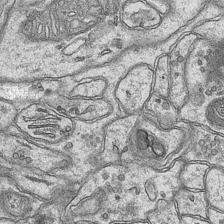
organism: Mouse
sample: CA1 Hippocampus